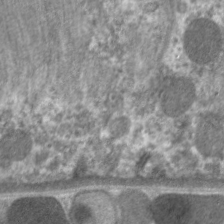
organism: C. elegans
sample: Pharynx